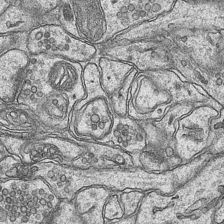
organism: Mouse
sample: CA1 Hippocampus